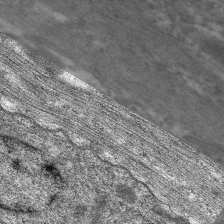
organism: C. elegans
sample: Pharynx